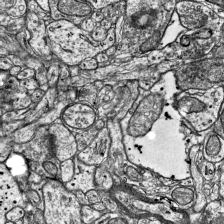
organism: Mouse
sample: Visual Cortex